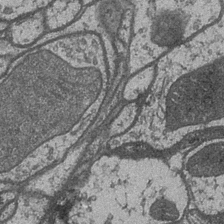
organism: Drosophila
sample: Optic medulla